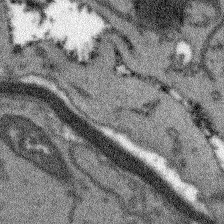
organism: Arabidopsis thaliana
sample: Root tip